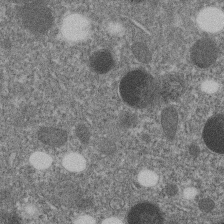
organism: C. elegans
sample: C. elegans embryo early stage